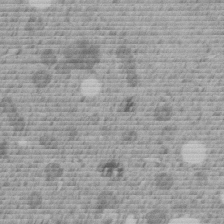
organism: C. elegans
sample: C. elegans embryo early stage